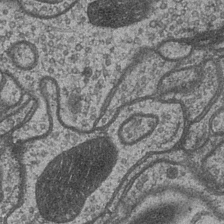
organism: Drosophila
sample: Optic medulla